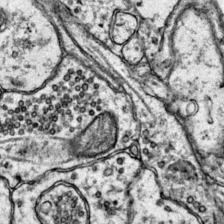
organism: Mouse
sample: Primary visual cortex